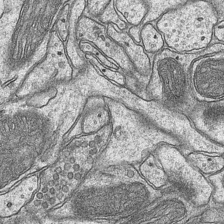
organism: Mouse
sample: CA1 Hippocampus